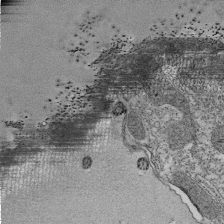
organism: Tetrahymena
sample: Cilia in tetrahymena